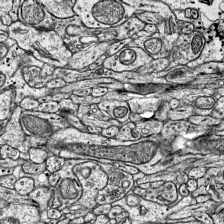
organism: Mouse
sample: Visual Cortex